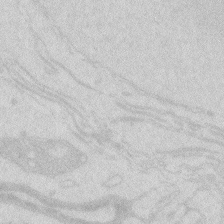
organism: Zebrafish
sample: Macrophage